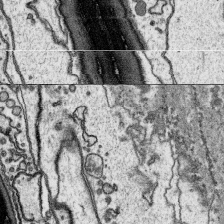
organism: Platynereis dumerilii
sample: Parapodia